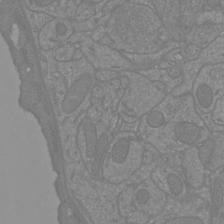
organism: Mouse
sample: Cortical neurons